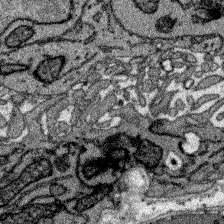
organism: Zebrafish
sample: Larval olfactory bulb